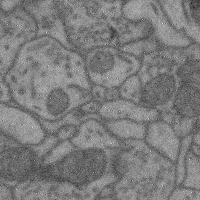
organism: Mouse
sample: Cerebral cortex